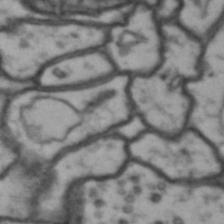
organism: Drosophila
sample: Brain